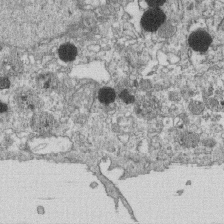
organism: Human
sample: HeLa cell HIV synapse